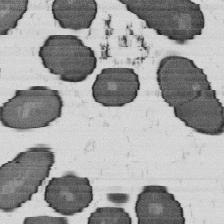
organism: B. subtilis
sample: Bacterial spore